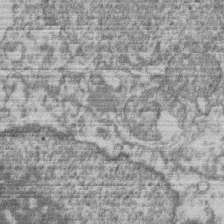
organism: Mouse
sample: T cell stromal cell synapse